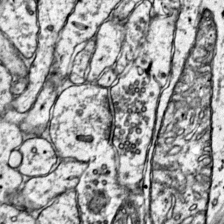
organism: Mouse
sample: Primary visual cortex